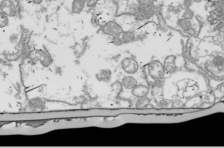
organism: Drosophila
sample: Cell division; meiosis; drosophila spermatocytes